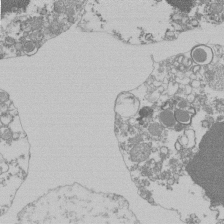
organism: Mouse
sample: Activated Pmel transgenic CD8+ T Cells